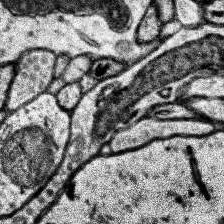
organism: Human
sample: Temporal Lobe